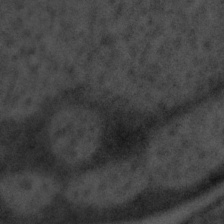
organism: Tuwongella immobilis